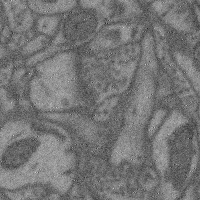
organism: Mouse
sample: Cerebral cortex